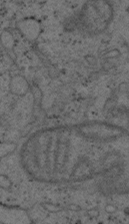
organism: Human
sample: HeLa cells